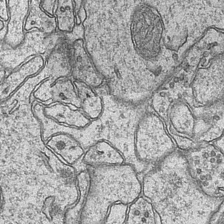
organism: Mouse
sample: CA1 Hippocampus